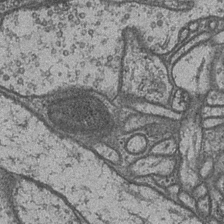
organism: Drosophila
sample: Optic medulla